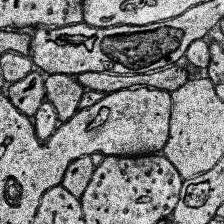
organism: Human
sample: Temporal Lobe